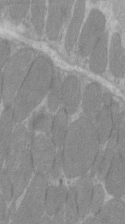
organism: C57BL Mouse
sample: Tibialis anterior muscle cell